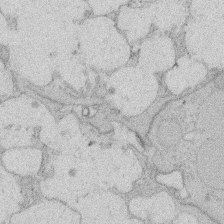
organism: Rat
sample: Salivary granule